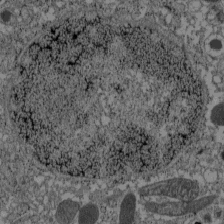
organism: C57BL Mouse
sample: Pancreatic islet